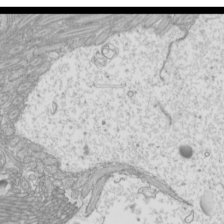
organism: Mouse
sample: Cilia; mouse epididymis